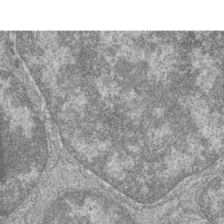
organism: Zebrafish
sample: Cilia; retinal pigment epithelium